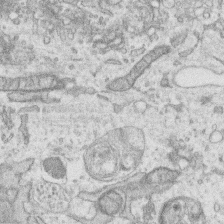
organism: Human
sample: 1205lu cells